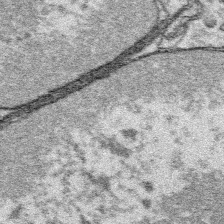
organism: Platynereis dumerilii